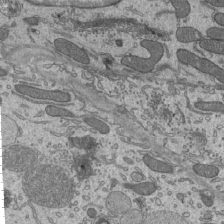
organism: Mouse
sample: Mouse epididymis efferent ductule cilia